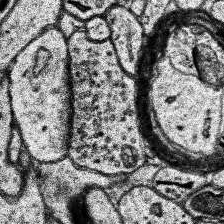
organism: Human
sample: Temporal Lobe